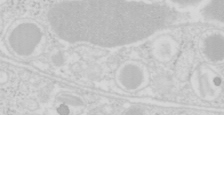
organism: Mouse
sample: Pancreas